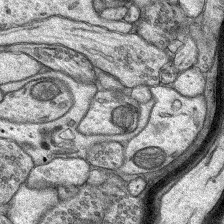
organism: Rat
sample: Hippocampus